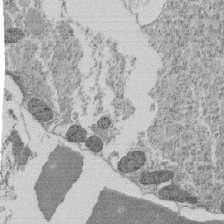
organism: Tetrahymena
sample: Cilia in tetrahymena